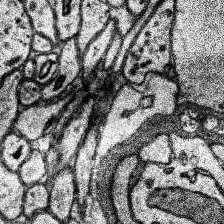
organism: Human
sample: Temporal Lobe